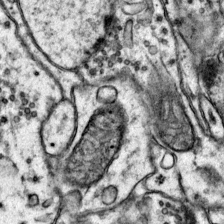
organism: Mouse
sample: Primary visual cortex